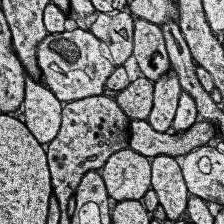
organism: Human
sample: Temporal Lobe